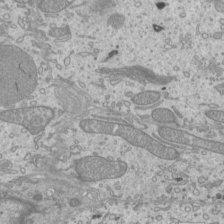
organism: Mouse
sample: Cilia; mouse epididymis